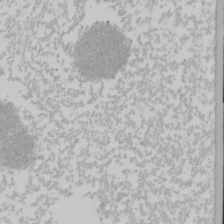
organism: Mouse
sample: Cancer cell death in ED-1 cells